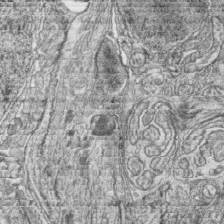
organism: Zebrafish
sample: synaptic ribbons in rod cells and cone cells